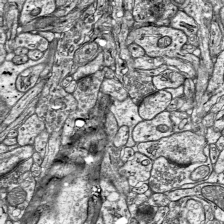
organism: Mouse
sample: Visual Cortex